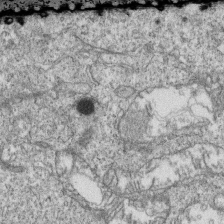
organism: Human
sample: HeLa cell HIV synapse